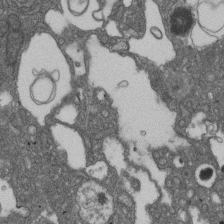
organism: Drosophila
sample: Nephrocyte